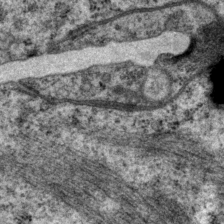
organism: P. pacificus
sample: Pharynx